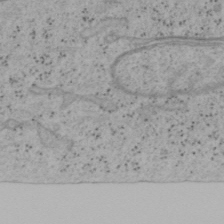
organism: Human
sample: HeLa cells